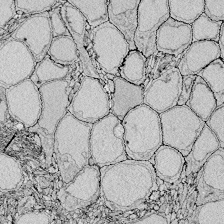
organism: Zebrafish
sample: Whole-Brain